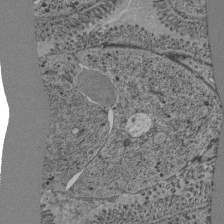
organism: C. elegans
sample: C. elegans pharynx